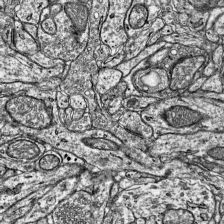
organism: Mouse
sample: Visual Cortex